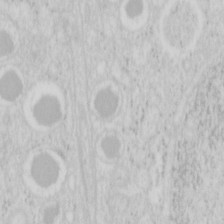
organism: Mouse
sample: Pancreas